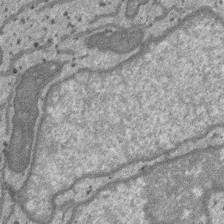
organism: Human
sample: Lung epithelial cells infected with SARS-CoV-2